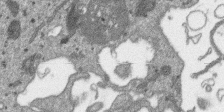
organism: Human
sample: Lung epithelial cells infected with SARS-CoV-2